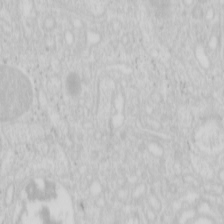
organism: Mouse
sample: Pancreas